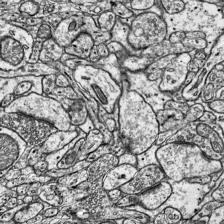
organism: Mouse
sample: Visual Cortex